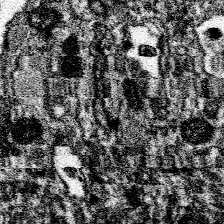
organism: Spongilla lacustris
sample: Neuroid cell